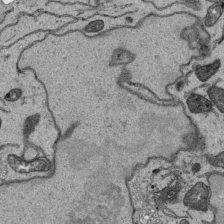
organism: Human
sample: Mitochondria in HCT116 cells